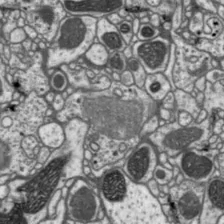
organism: Drosophila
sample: Protocerebral bridge